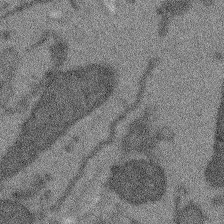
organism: Arabidopsis thaliana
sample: Root tip